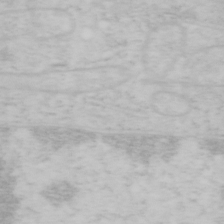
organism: Mouse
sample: OT-I killer T cells with ID8 ovarian cancer cells